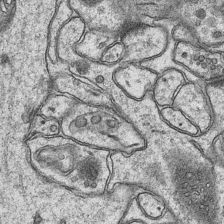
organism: Mouse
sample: CA1 Hippocampus